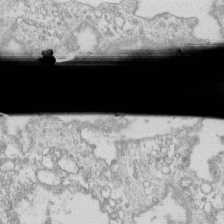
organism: Mouse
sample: Macrophages